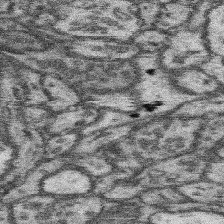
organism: Mouse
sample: Somatosensory cortex neuropil